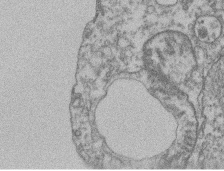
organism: Mouse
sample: T cell stromal cell synapse